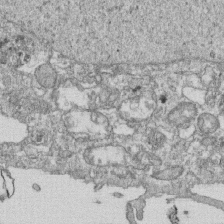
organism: Human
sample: HeLa cell HIV synapse